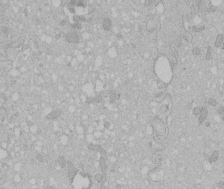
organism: Human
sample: Melanocyte Keratinocyte synapse skin construct